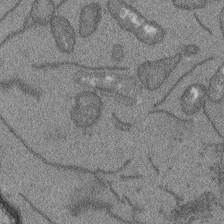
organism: Arabidopsis thaliana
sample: Root tip